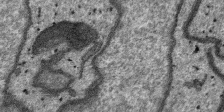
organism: Human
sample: Lung epithelial cells, uninfected (mock) control